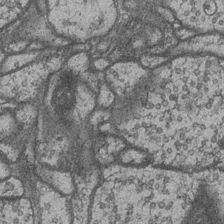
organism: Drosophila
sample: Optic medulla